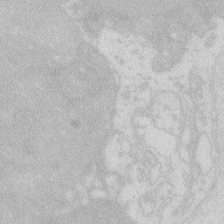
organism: Zebrafish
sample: Macrophage